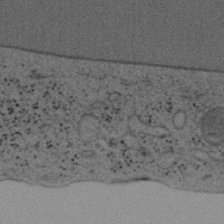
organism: Human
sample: HeLa cells